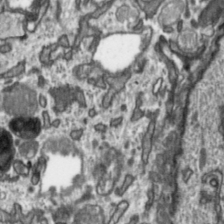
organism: Toxoplasma gondii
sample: Parasites in a vacuole inside a host cell